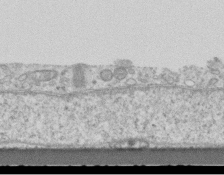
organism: Mouse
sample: Centriole in ependymal cells